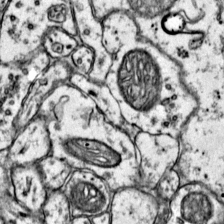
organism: Mouse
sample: Primary visual cortex